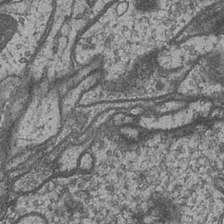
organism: Drosophila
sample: Optic medulla